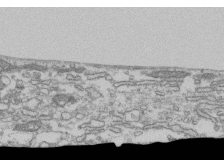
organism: Human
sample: Fibroblast cells